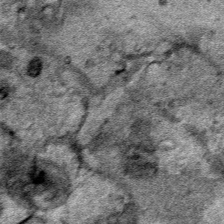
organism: Human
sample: Mitochondria in HCT116 cells